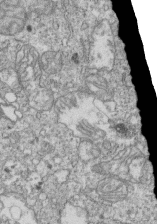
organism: Human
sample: HeLa cell HIV synapse